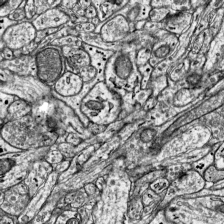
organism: Mouse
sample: Visual Cortex